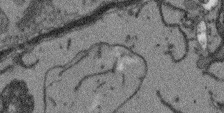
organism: Arabidopsis thaliana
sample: Root tip